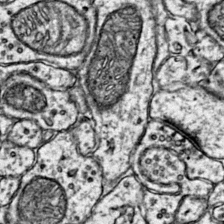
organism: Mouse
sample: Primary visual cortex